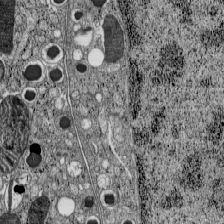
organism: C57BL Mouse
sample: Pancreatic islet